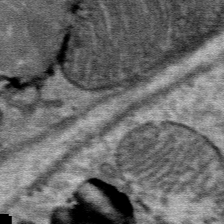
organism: Mouse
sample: Mouse Salivary gland